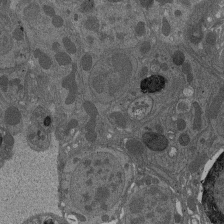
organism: Drosophila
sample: Antenna